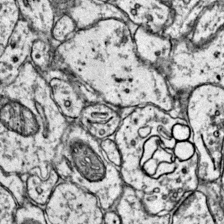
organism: Mouse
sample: Primary visual cortex